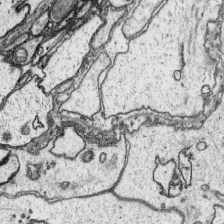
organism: Platynereis dumerilii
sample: Parapodia